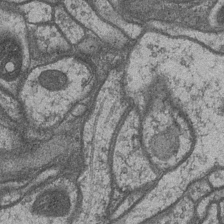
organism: Drosophila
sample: Optic medulla